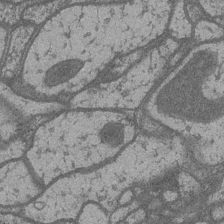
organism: Drosophila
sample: Optic medulla